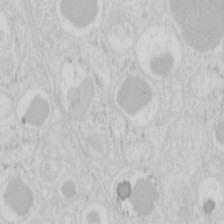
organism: Mouse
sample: Pancreas